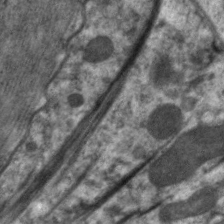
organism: C. elegans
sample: Pharynx